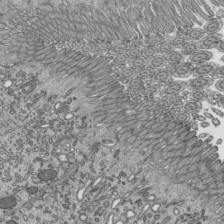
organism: Mouse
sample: Mouse epididymis efferent ductule cilia